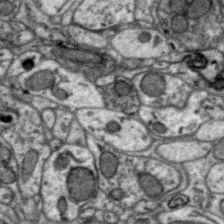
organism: Zebra finch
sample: Brain